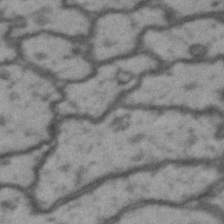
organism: Drosophila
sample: Brain